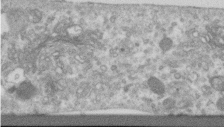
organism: Human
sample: Centriole in RPE cells